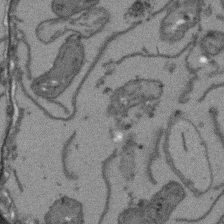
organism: Arabidopsis thaliana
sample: Root tip